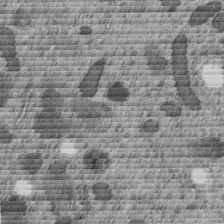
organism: C. elegans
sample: C. elegans embryo early stage